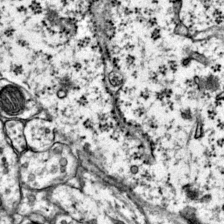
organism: Mouse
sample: Primary visual cortex